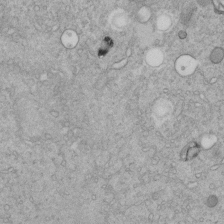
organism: C. elegans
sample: C. elegans embryo early stage